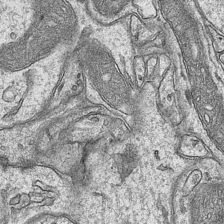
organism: Mouse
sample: CA1 Hippocampus